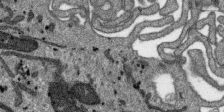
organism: Human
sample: Lung epithelial cells, uninfected (mock) control